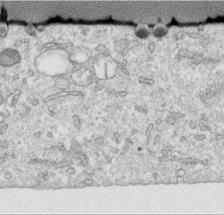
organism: Human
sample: Centriole in RPE cells